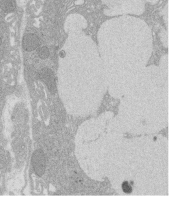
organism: Rat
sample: Salivary granule